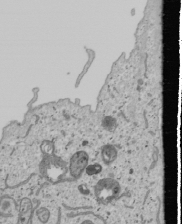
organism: Human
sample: Mitochondria in U2OS cells